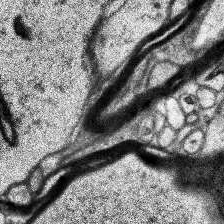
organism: Human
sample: Temporal Lobe